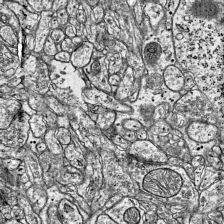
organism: Mouse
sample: Visual Cortex